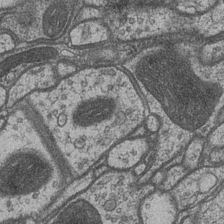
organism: Drosophila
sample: Optic medulla